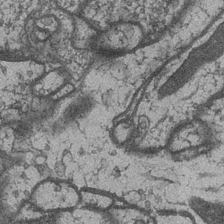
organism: Drosophila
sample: Optic medulla